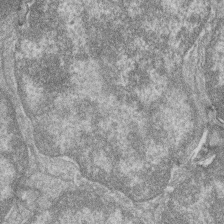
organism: Zebrafish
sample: Cilia; retinal pigment epithelium